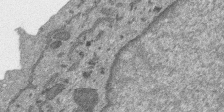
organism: Human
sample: Lung epithelial cells infected with SARS-CoV-2